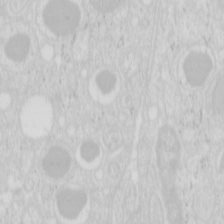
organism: Mouse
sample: Pancreas